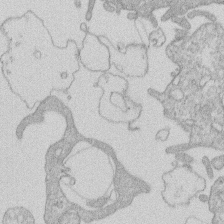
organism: Human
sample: Macrophage cells